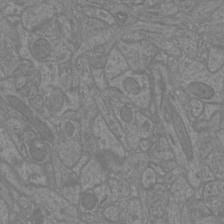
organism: Mouse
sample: Cortical neurons